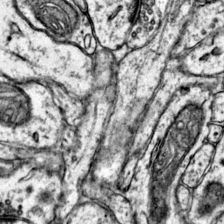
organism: Mouse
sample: Primary visual cortex